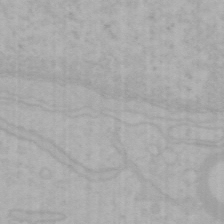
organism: Mouse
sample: Choroid plexus